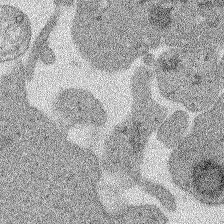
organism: Human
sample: HeLa cells